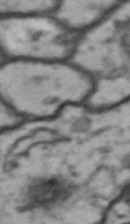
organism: Drosophila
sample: Brain